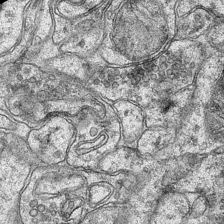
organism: Mouse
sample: CA1 Hippocampus